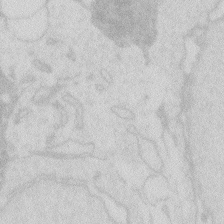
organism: Zebrafish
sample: Macrophage